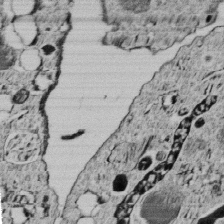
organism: C. elegans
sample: C. elegans embryo early stage